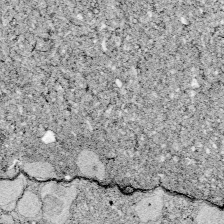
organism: Zebrafish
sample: Whole-Brain